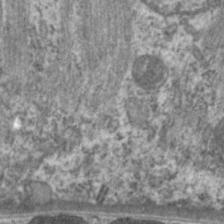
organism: C. elegans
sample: Pharynx